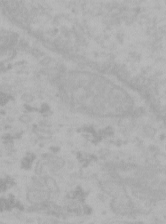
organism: Mouse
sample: Choroid plexus